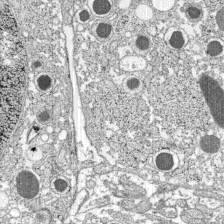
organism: C57BL Mouse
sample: Pancreatic islet